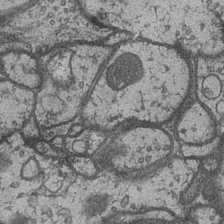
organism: Drosophila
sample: Optic medulla